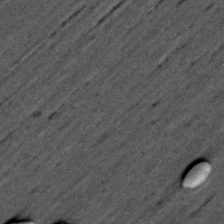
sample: Trachea